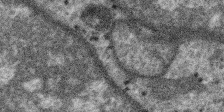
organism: Human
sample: Lung epithelial cells infected with SARS-CoV-2